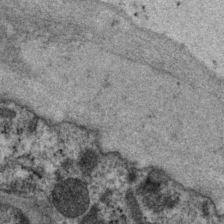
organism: P. pacificus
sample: Pharynx